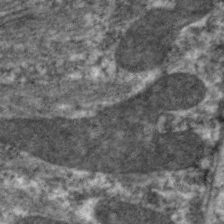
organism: C. elegans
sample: Pharynx